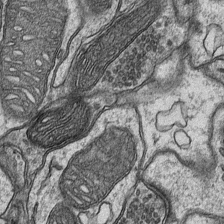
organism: Mouse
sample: CA1 Hippocampus